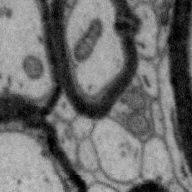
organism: Zebra finch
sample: Brain